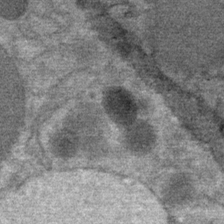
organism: Mouse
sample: Mouse Salivary gland